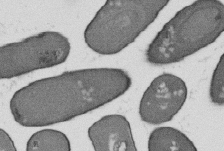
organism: B. subtilis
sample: Bacterial spore